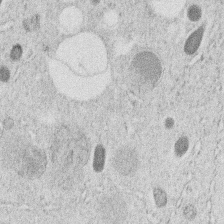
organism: C. elegans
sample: C. elegans embryo early stage